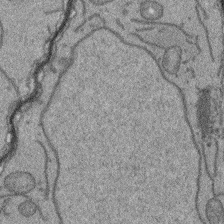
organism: Arabidopsis thaliana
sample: Root tip